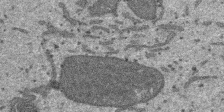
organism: Human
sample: Lung epithelial cells infected with SARS-CoV-2